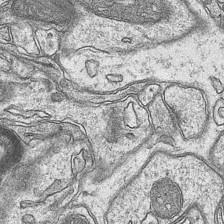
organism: Mouse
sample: CA1 Hippocampus